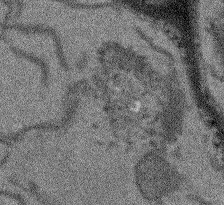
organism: Arabidopsis thaliana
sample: Root tip